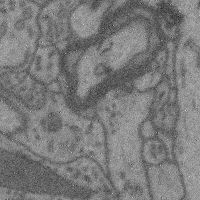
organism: Mouse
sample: Cerebral cortex